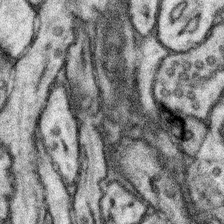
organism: Mouse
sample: Somatosensory cortex neuropil